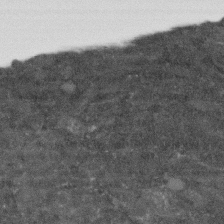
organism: Human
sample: Fibroblast cells